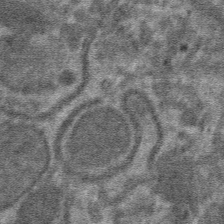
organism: Mouse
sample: Mouse hepatocytes